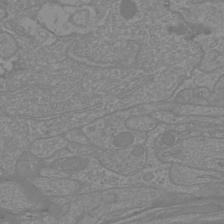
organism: Mouse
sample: Cortical neurons